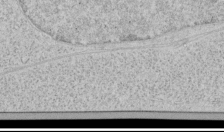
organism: Human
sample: Mitochondria in HCT116 cells